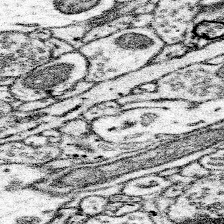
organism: Mouse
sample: Somatosensory cortex neuropil